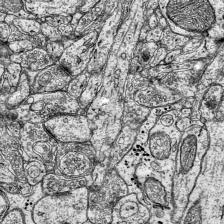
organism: Mouse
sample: Visual Cortex